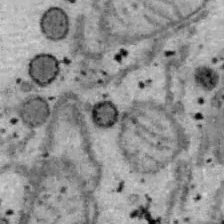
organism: Mouse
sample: Liver from an obese (ob/ob) mouse